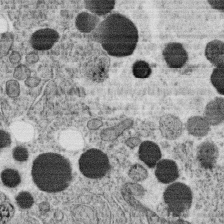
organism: C. elegans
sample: C. elegans oocyte; sperm cells